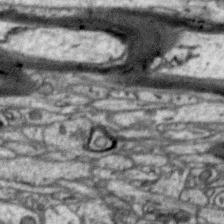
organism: Zebra finch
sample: Brain